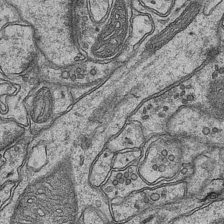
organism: Mouse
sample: CA1 Hippocampus